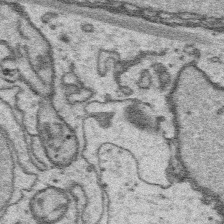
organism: Platynereis dumerilii